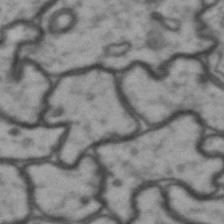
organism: Drosophila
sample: Brain